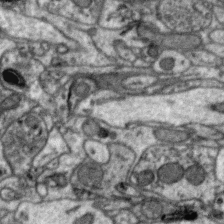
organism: Zebra finch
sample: Brain